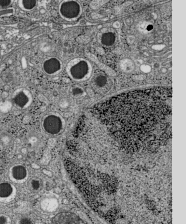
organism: C57BL Mouse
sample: Pancreatic islet